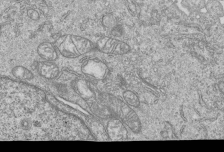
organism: Human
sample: MDA-MB-231 cells